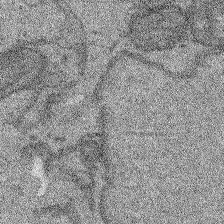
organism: Human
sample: HeLa cells